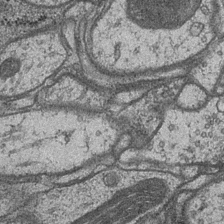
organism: Drosophila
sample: Optic medulla